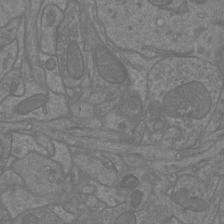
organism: Mouse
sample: Cortical neurons